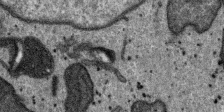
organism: Human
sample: Lung epithelial cells, uninfected (mock) control